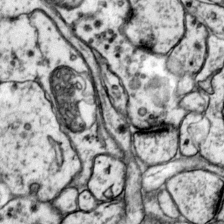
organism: Mouse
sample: Primary visual cortex